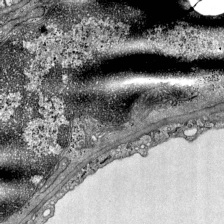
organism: Mouse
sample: Visual Cortex